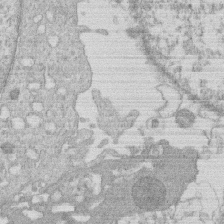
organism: Human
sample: Macrophage cells